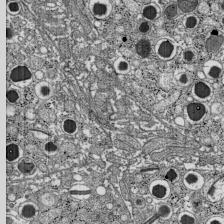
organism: C57BL Mouse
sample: Pancreatic islet